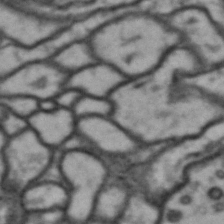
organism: Drosophila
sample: Brain